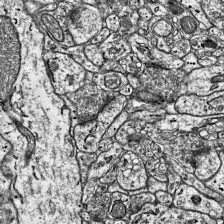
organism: Mouse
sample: Visual Cortex